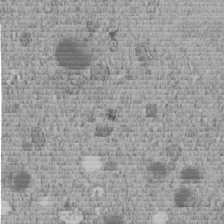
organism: C. elegans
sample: C. elegans embryo early stage